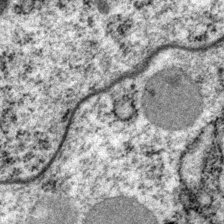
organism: P. pacificus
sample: Pharynx